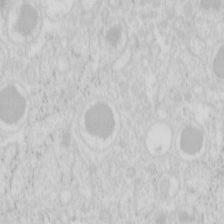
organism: Mouse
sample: Pancreas